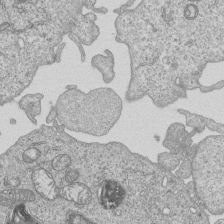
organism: Human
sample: MDA-MB-231 cells